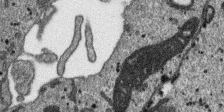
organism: Human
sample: Lung epithelial cells infected with SARS-CoV-2